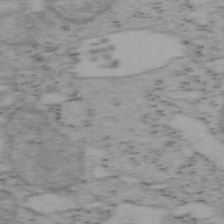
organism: Mouse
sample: OT-I killer T cells with ID8 ovarian cancer cells